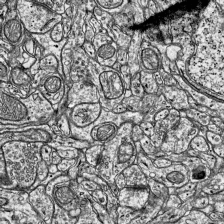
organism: Mouse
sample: Visual Cortex